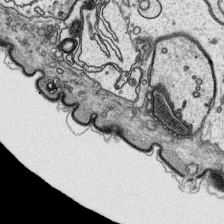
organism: Platynereis dumerilii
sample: Parapodia